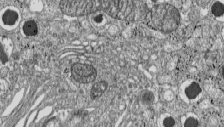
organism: C57BL Mouse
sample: Pancreatic islet